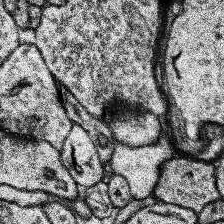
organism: Human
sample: Temporal Lobe